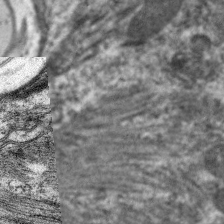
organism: C. elegans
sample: Pharynx